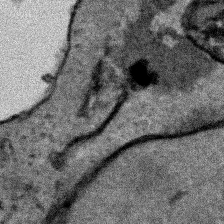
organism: Human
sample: Mitochondria in HCT116 cells